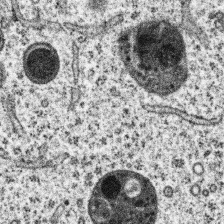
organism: Human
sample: HeLa cells